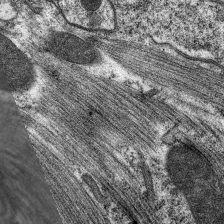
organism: C. elegans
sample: Pharynx